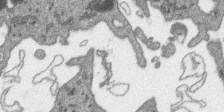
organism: Human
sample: Lung epithelial cells infected with SARS-CoV-2